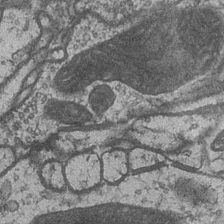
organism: Drosophila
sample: Optic medulla